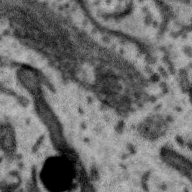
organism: Zebra finch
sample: Brain